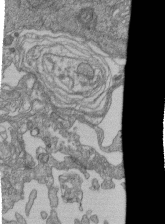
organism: Human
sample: Retinal organoid Rod and Cone cells